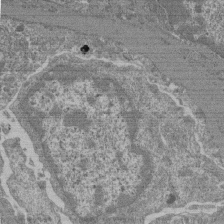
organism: Mouse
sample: Glomerulus